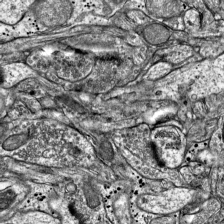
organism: Mouse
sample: Visual Cortex